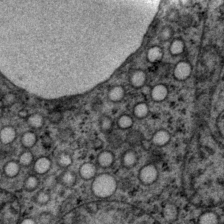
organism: P. pacificus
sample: Pharynx